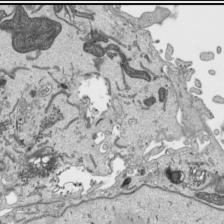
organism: Human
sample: Mitochondria in HCT116 cells